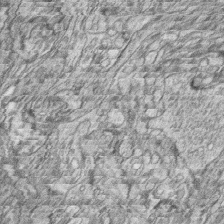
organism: Zebrafish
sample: synaptic ribbons in rod cells and cone cells